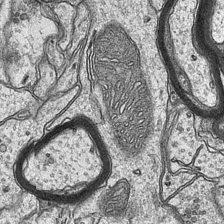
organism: Mouse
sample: CA1 Hippocampus